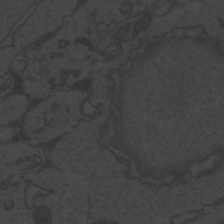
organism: Zebrafish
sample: Macrophage infected with Toxoplasma gondii